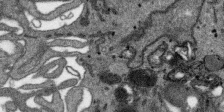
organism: Human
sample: Lung epithelial cells, uninfected (mock) control